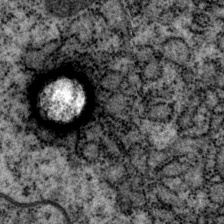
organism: P. pacificus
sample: Pharynx